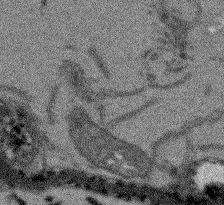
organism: Arabidopsis thaliana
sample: Root tip